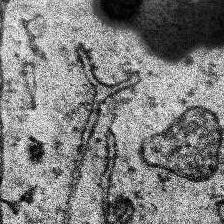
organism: Human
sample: Temporal Lobe